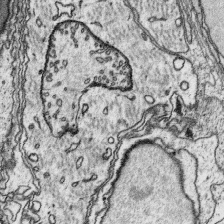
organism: Platynereis dumerilii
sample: Parapodia